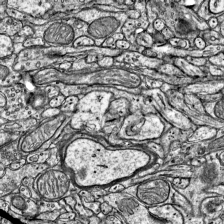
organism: Mouse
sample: Visual Cortex